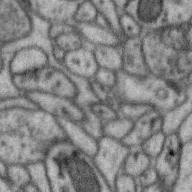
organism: Zebra finch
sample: Brain